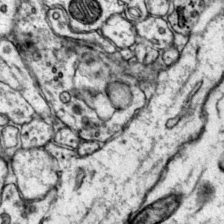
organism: Mouse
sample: Primary visual cortex